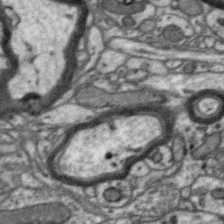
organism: Zebra finch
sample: Brain